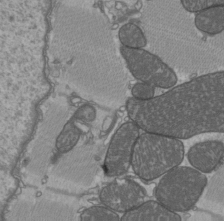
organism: C57BL Mouse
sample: Heart